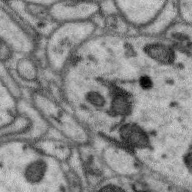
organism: Zebra finch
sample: Brain